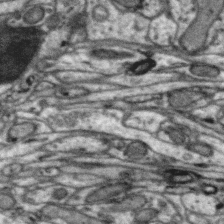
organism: Zebra finch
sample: Brain